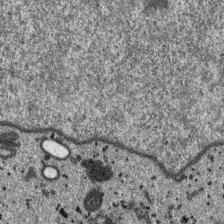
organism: Human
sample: Lung epithelial cells infected with SARS-CoV-2